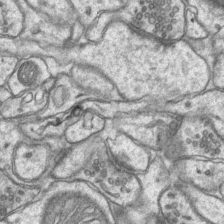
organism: Mouse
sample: CA1 Hippocampus